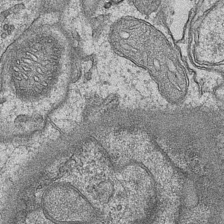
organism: Mouse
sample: CA1 Hippocampus